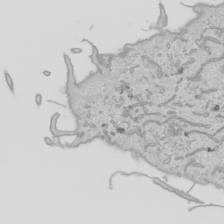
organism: Human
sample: Mitochondria in HCT116 cells